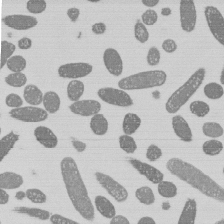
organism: E. coli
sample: Bacterial nucleoid